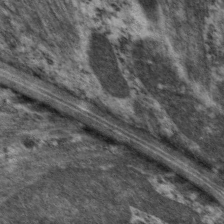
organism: C. elegans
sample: Pharynx